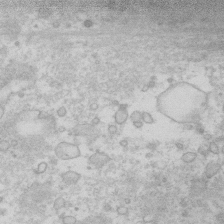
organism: Human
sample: Fibroblast cells